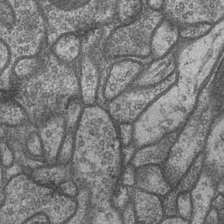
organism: Drosophila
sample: Optic medulla